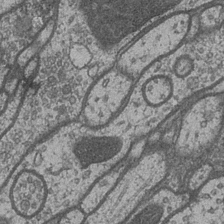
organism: Drosophila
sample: Optic medulla